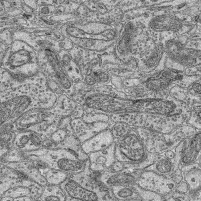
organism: Mouse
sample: Retina